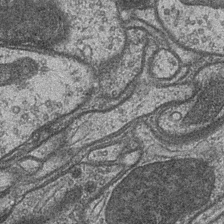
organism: Drosophila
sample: Optic medulla